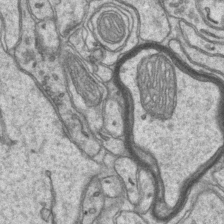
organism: Mouse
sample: CA1 Hippocampus